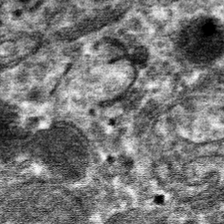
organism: Mouse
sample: Mouse hepatocytes